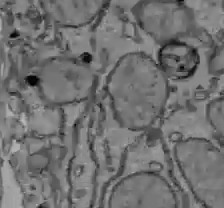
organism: C57BL Mouse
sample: Liver